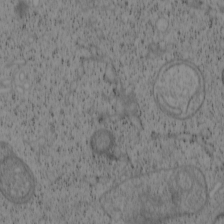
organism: African green monkey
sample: COS-7 cells